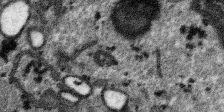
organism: Human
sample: Lung epithelial cells infected with SARS-CoV-2